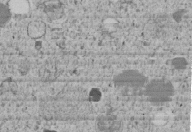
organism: C. elegans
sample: C. elegans embryo early stage